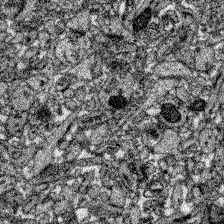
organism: Zebrafish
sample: Larval olfactory bulb